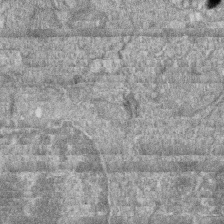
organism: Zebrafish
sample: Cilia; retinal pigment epithelium